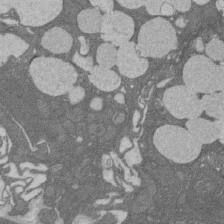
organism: Rat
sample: Salivary granule